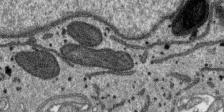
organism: Human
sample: Lung epithelial cells, uninfected (mock) control